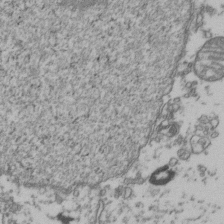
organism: Human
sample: Activated Jurkat CD4+ T cells